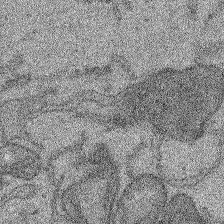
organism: Human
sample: HeLa cells